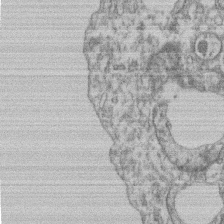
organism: Mouse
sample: T cell stromal cell synapse